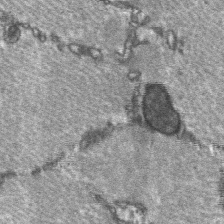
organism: C57BL Mouse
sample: Soleus